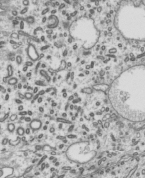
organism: Mouse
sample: Mouse epididymis efferent ductule cilia